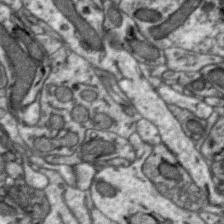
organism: Zebra finch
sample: Brain